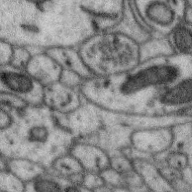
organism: Zebra finch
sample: Brain